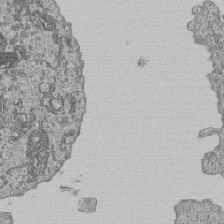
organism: Human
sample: MDA-MB-231 cells